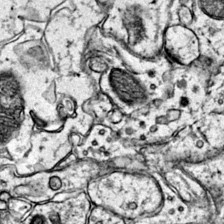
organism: Mouse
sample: Primary visual cortex